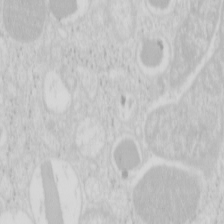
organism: Mouse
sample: Pancreas